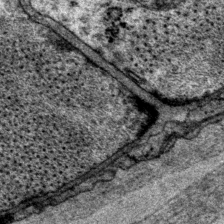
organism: P. pacificus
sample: Pharynx